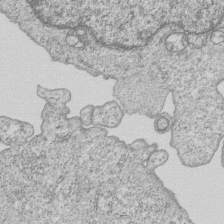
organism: Human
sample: MDA-MB-231 cells